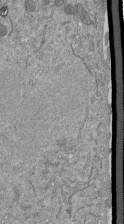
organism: Mouse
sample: ED-1 cell nuclei; centrioles